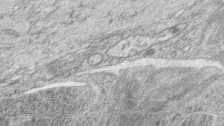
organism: Zebrafish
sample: synaptic ribbons in rod cells and cone cells